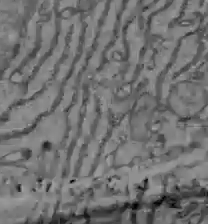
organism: C57BL Mouse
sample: Liver